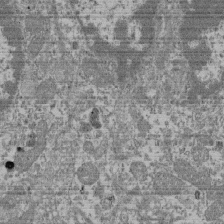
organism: Mouse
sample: Glomerulus